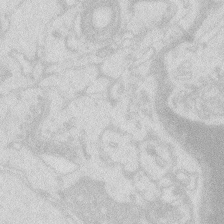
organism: Zebrafish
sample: Macrophage